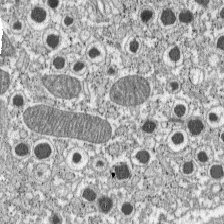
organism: C57BL Mouse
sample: Pancreatic islet